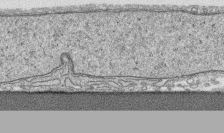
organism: Human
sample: CRL-1474